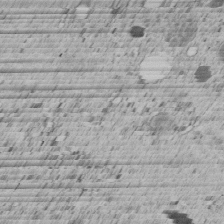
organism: C. elegans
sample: C. elegans embryo early stage